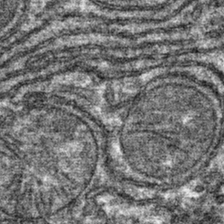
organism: Mouse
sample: Mouse hepatocytes